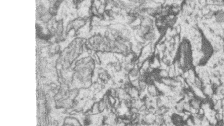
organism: Zebrafish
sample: synaptic ribbons in rod cells and cone cells